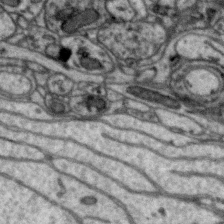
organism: Zebra finch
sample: Brain